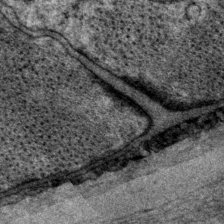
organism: P. pacificus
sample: Pharynx